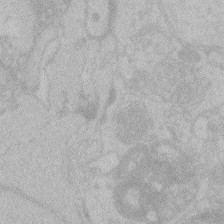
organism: Zebrafish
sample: Macrophage infected with Toxoplasma gondii